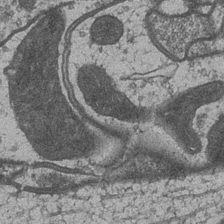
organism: Drosophila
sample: Optic medulla